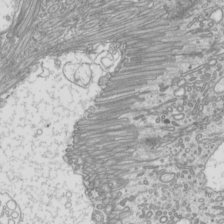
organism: Mouse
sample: Cilia; mouse epididymis